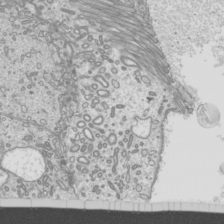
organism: Mouse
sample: Cilia; mouse epididymis